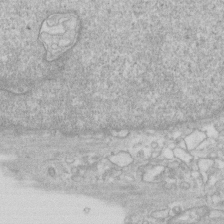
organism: Human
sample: Fibroblast cells